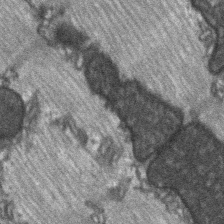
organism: C57BL Mouse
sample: Soleus